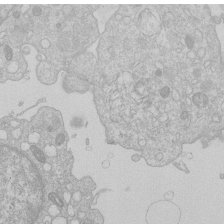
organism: Human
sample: Macrophage cells